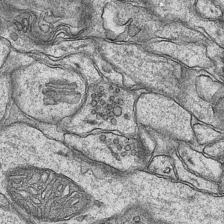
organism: Mouse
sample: CA1 Hippocampus